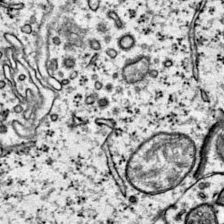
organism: Mouse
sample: Primary visual cortex